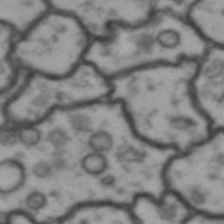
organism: Drosophila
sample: Brain